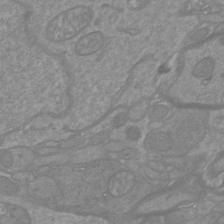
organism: Mouse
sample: Cortical neurons